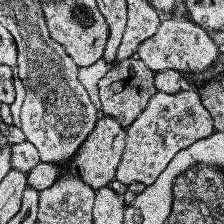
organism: Human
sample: Temporal Lobe